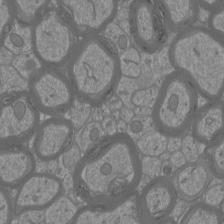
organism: Mouse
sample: Cortical neurons